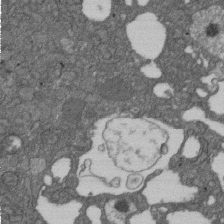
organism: Drosophila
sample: Nephrocyte